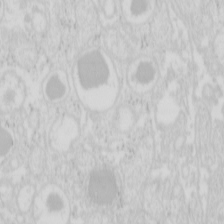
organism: Mouse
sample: Pancreas